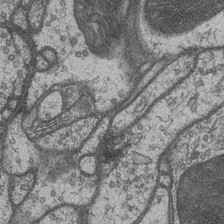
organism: Drosophila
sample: Optic medulla